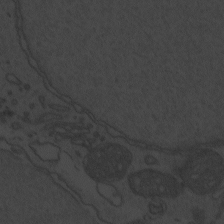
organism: Zebrafish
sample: Macrophage infected with Toxoplasma gondii